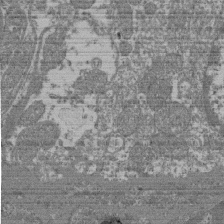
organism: Mouse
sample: Glomerulus